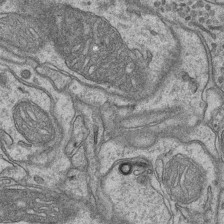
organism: Mouse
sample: CA1 Hippocampus